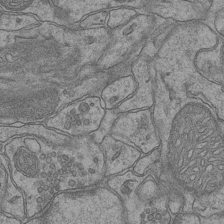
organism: Mouse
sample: CA1 Hippocampus